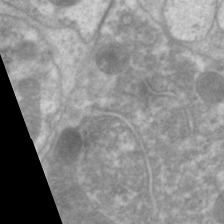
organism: C. elegans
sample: Pharynx